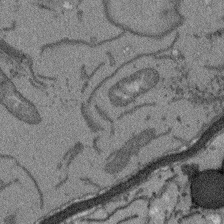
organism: Arabidopsis thaliana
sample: Root tip